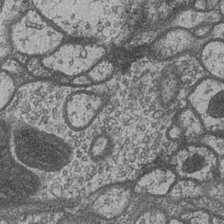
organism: Drosophila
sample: Optic medulla